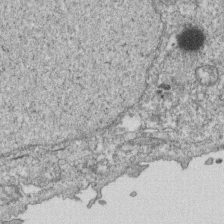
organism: Human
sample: HeLa cell HIV synapse